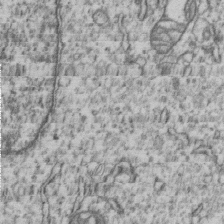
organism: Human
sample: MDA-MB-231 cells